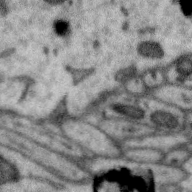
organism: Zebra finch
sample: Brain